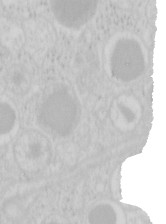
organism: Mouse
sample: Pancreas